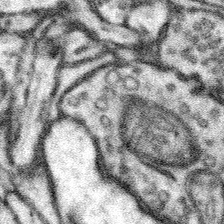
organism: Mouse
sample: Somatosensory cortex neuropil